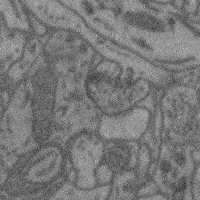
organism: Mouse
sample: Cerebral cortex